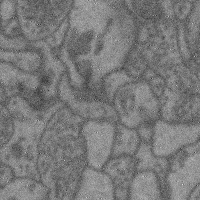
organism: Mouse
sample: Cerebral cortex